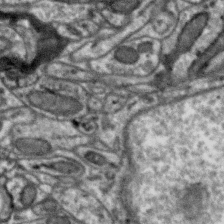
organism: Zebra finch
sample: Brain